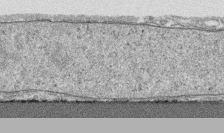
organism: Human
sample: CRL-1474